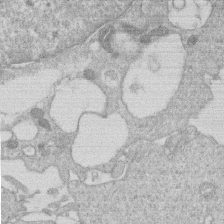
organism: Human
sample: Macrophage cells